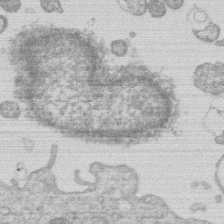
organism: Human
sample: Macrophage cells